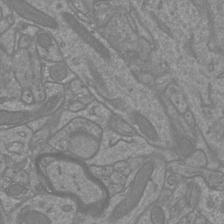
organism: Mouse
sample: Cortical neurons